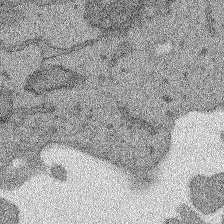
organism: Human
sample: HeLa cells